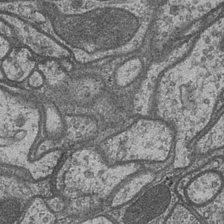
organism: Drosophila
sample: Optic medulla